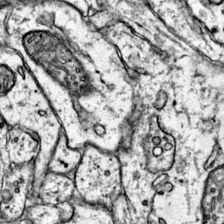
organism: Mouse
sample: Primary visual cortex